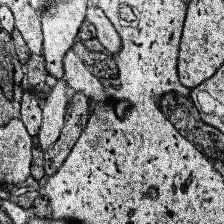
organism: Human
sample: Temporal Lobe